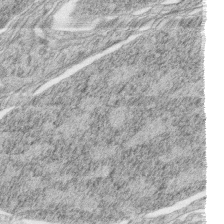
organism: Zebrafish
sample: synaptic ribbons in rod cells and cone cells